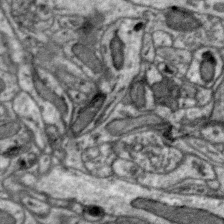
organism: Zebra finch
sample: Brain